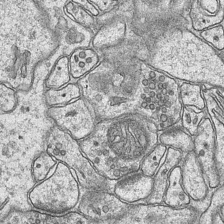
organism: Mouse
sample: CA1 Hippocampus